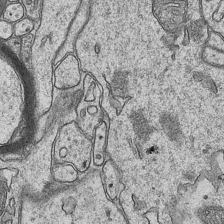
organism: Mouse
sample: CA1 Hippocampus